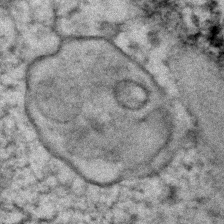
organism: Human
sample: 1205lu cells